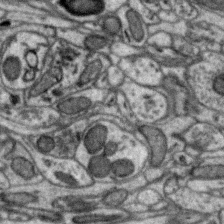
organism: Zebra finch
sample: Brain